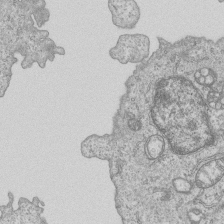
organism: Human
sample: MDA-MB-231 cells